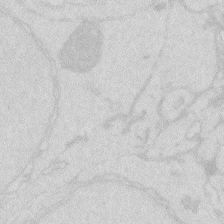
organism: Zebrafish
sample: Macrophage